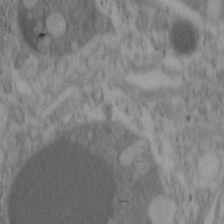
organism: Mouse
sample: OT-I killer T cells with ID8 ovarian cancer cells